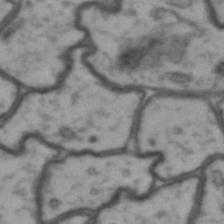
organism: Drosophila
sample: Brain